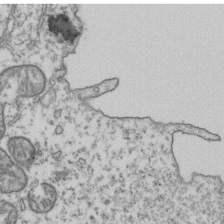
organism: Human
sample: Activated Jurkat CD4+ T cells